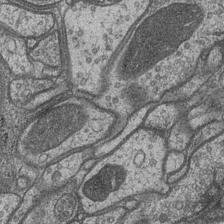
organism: Drosophila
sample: Optic medulla